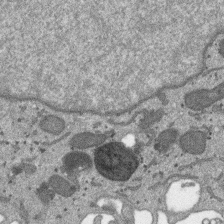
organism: Human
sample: Lung epithelial cells infected with SARS-CoV-2